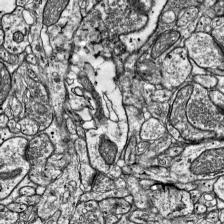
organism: Mouse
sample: Visual Cortex